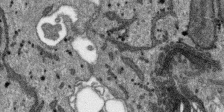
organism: Human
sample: Lung epithelial cells, uninfected (mock) control